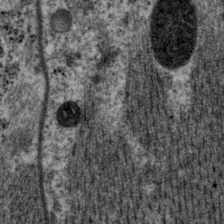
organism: P. pacificus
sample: Pharynx